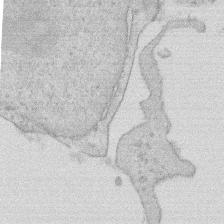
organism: Rat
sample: Salivary granule